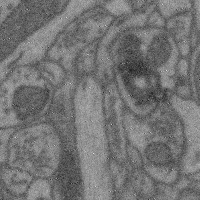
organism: Mouse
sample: Cerebral cortex